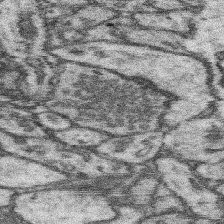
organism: Mouse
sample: Somatosensory cortex neuropil